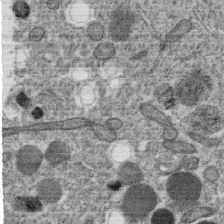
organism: C. elegans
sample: C. elegans oocyte; sperm cells